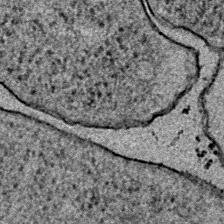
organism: E. coli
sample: E. Coli Bacteria